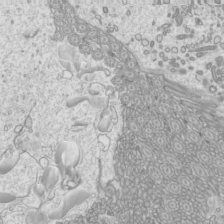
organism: Mouse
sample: Cilia; mouse epididymis